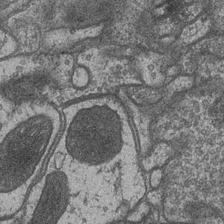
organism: Drosophila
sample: Optic medulla